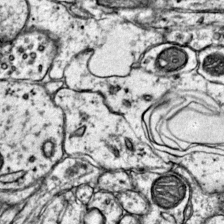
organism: Mouse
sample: Primary visual cortex